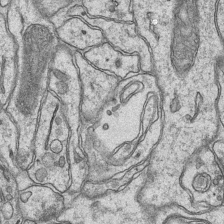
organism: Mouse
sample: CA1 Hippocampus